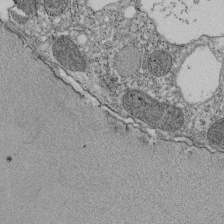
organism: Tetrahymena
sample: Cilia in tetrahymena